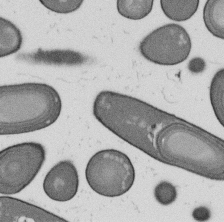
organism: B. subtilis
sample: Bacterial spore